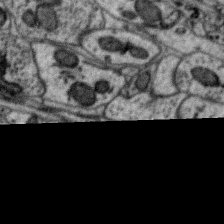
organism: Zebra finch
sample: Brain